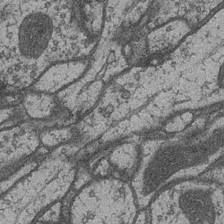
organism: Drosophila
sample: Optic medulla